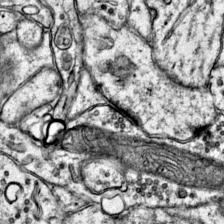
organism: Mouse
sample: Primary visual cortex